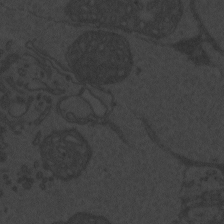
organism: Zebrafish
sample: Macrophage infected with Toxoplasma gondii